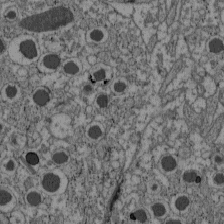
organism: C57BL Mouse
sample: Pancreatic islet